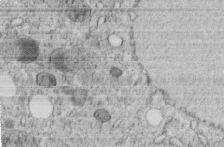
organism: C. elegans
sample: C. elegans embryo early stage